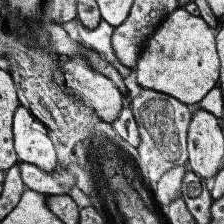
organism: Human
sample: Temporal Lobe